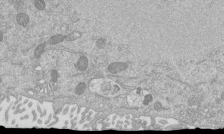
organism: Mouse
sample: ED-1 cell nuclei; centrioles